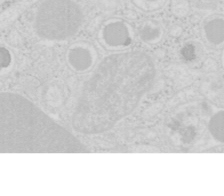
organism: Mouse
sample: Pancreas